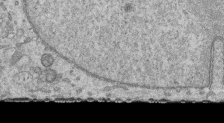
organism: Human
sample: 1205lu cells